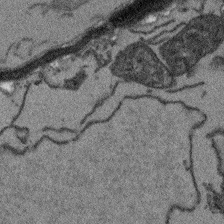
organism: Arabidopsis thaliana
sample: Root tip